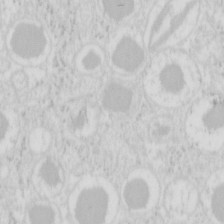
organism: Mouse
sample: Pancreas